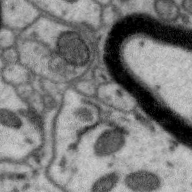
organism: Zebra finch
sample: Brain